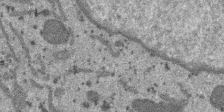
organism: Human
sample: Lung epithelial cells infected with SARS-CoV-2